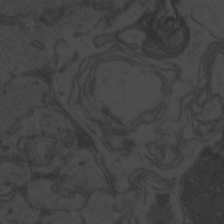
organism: Zebrafish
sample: Macrophage infected with Toxoplasma gondii